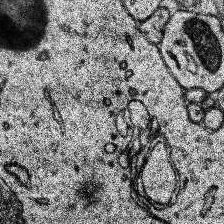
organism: Human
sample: Temporal Lobe